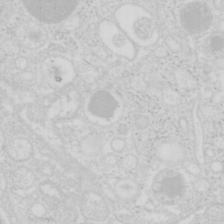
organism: Mouse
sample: Pancreas